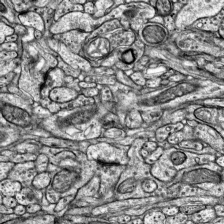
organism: Mouse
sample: Visual Cortex